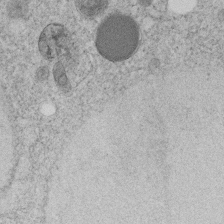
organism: C. elegans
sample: C. elegans embryo early stage